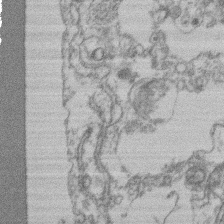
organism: Mouse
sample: T cell stromal cell synapse